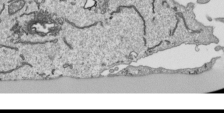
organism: Human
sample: Mitochondria in HCT116 cells